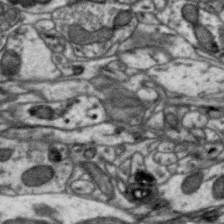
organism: Zebra finch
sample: Brain